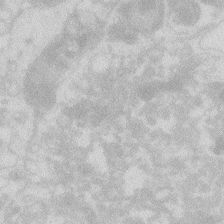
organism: Zebrafish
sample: Macrophage